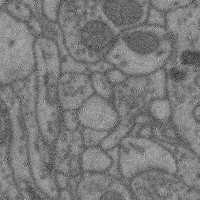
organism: Mouse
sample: Cerebral cortex